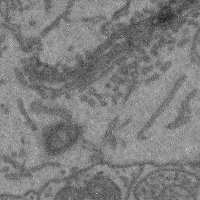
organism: Mouse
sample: Cerebral cortex